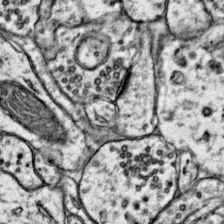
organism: Mouse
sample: Primary visual cortex